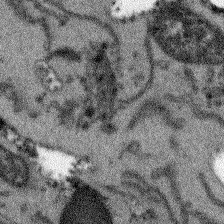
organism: Arabidopsis thaliana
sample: Root tip